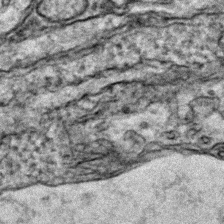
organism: Zebrafish